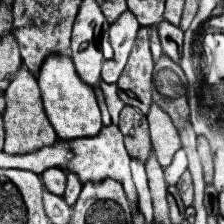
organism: Human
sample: Temporal Lobe